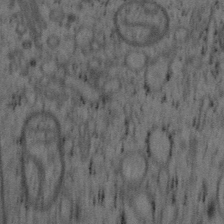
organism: Human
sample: HeLa cells